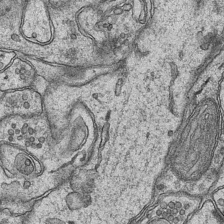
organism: Mouse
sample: CA1 Hippocampus